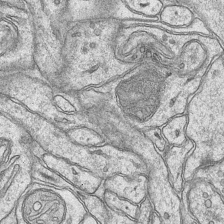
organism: Mouse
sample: CA1 Hippocampus